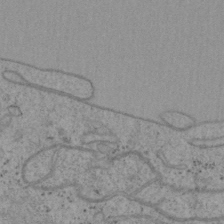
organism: Human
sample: HeLa cells